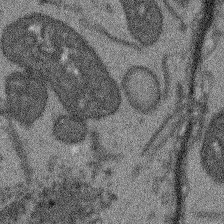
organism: Arabidopsis thaliana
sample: Root tip